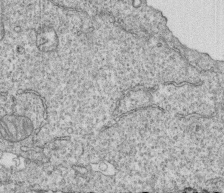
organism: Human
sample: HeLa cell HIV synapse